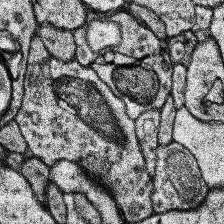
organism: Human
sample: Temporal Lobe